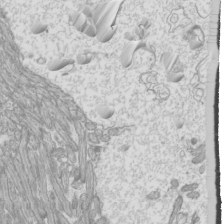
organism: Mouse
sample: Cilia; mouse epididymis